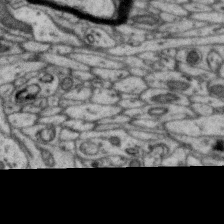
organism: Zebra finch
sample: Brain